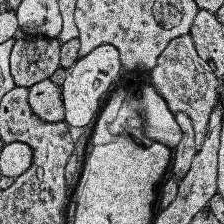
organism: Human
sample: Temporal Lobe